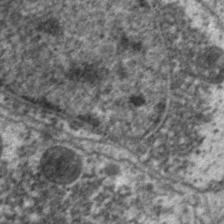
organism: C. elegans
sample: Pharynx